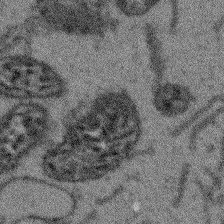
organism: Arabidopsis thaliana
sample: Root tip